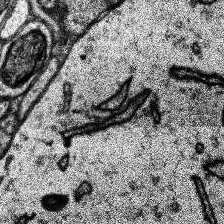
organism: Human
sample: Temporal Lobe